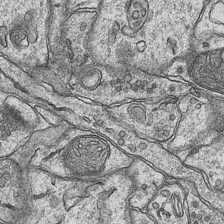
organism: Mouse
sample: CA1 Hippocampus